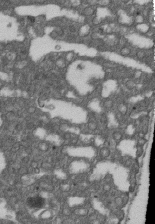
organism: Drosophila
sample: Nephrocyte